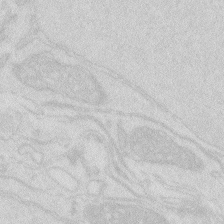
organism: Zebrafish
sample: Macrophage